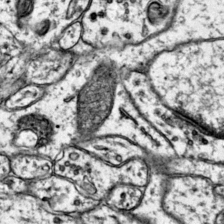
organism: Mouse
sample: Primary visual cortex